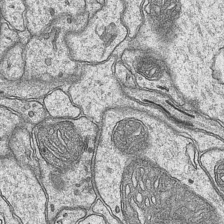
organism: Mouse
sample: CA1 Hippocampus